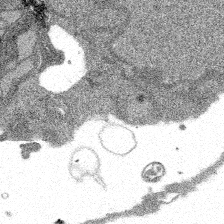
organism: Spongilla lacustris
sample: Multiple